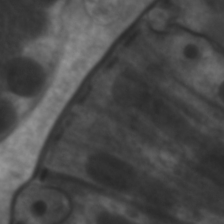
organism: C. elegans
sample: Pharynx